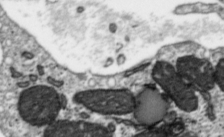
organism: Toxoplasma gondii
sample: Parasites in a vacuole inside a host cell